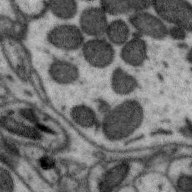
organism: Zebra finch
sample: Brain